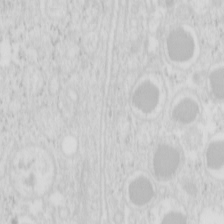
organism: Mouse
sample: Pancreas